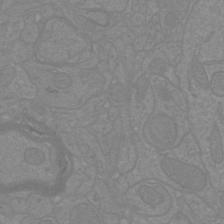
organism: Mouse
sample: Cortical neurons